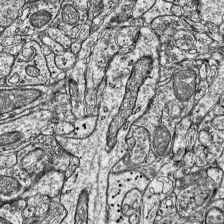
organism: Mouse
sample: Visual Cortex